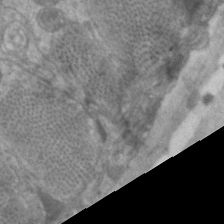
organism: C. elegans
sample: Pharynx